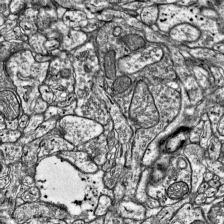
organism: Mouse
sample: Visual Cortex